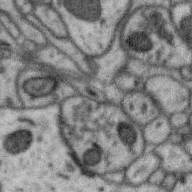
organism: Zebra finch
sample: Brain